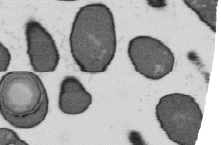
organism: B. subtilis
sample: Bacterial spore